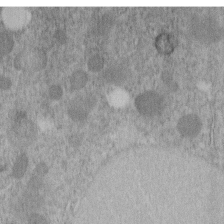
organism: C. elegans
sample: C. elegans embryo early stage